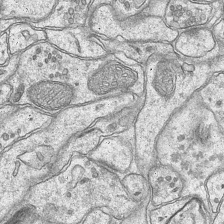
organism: Mouse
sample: CA1 Hippocampus